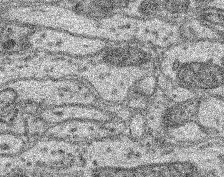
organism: Mouse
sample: Retina